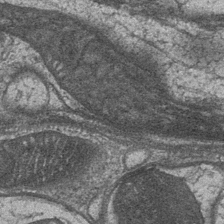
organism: Drosophila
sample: Optic medulla